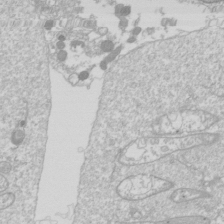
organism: Drosophila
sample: Cell division; meiosis; drosophila spermatocytes